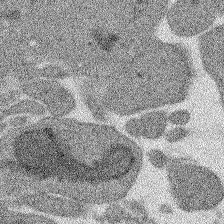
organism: Human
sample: HeLa cells